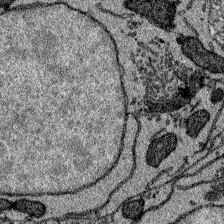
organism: Zebrafish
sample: Larval olfactory bulb